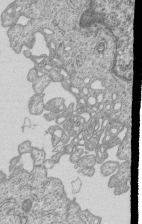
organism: Human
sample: MDA-MB-231 cells